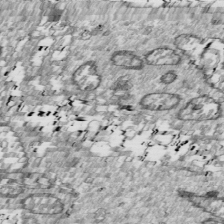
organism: Drosophila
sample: Cell division; meiosis; drosophila spermatocytes